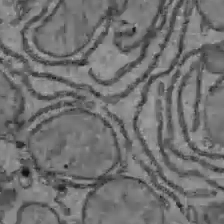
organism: C57BL Mouse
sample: Liver